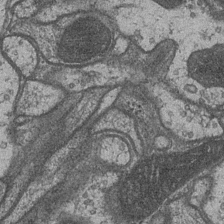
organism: Drosophila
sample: Optic medulla